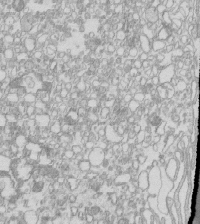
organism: Mouse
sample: Macrophages